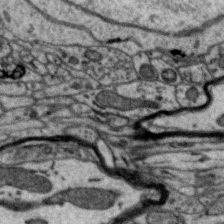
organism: Zebra finch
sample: Brain